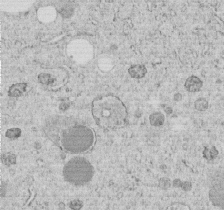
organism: C. elegans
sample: C. elegans embryo early stage